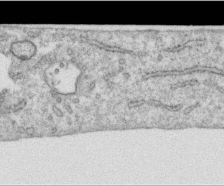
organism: Human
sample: Centriole in RPE cells